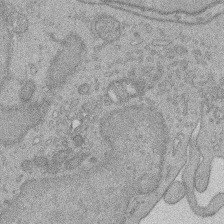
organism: Rat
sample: Salivary granule